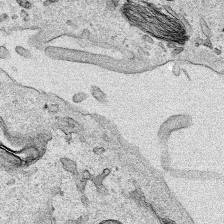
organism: Human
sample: Mitochondria in HCT116 cells